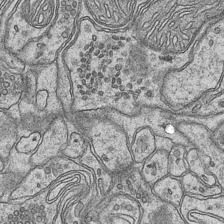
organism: Mouse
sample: CA1 Hippocampus